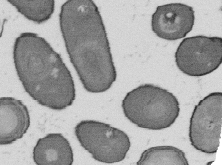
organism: B. subtilis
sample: Bacterial spore